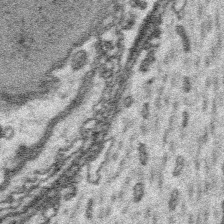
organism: Platynereis dumerilii